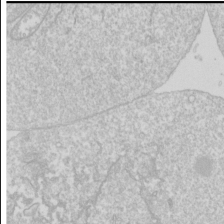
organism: Drosophila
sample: Cell division; meiosis; drosophila spermatocytes